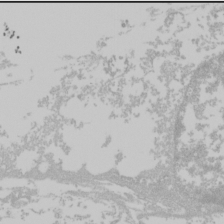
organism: Mouse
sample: Cancer cell death in ED-1 cells